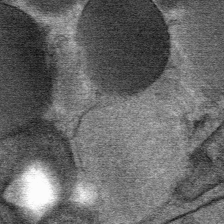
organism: Mouse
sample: Mouse Salivary gland